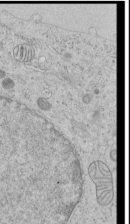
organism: Human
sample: Mitochondria in HCT116 cells